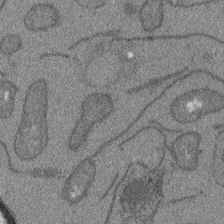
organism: Arabidopsis thaliana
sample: Root tip